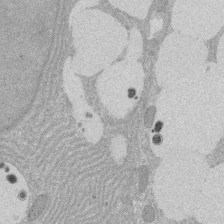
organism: Rat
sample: Salivary granule